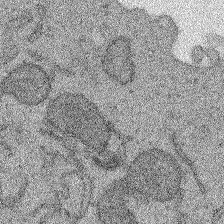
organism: Human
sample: HeLa cells